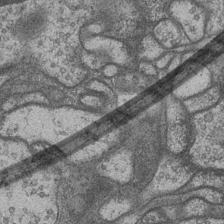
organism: Drosophila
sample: Optic medulla